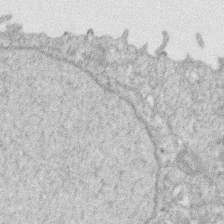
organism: Human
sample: HeLa cell HIV synapse